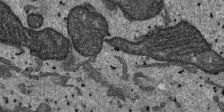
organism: Human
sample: Lung epithelial cells, uninfected (mock) control